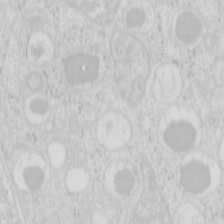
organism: Mouse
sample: Pancreas